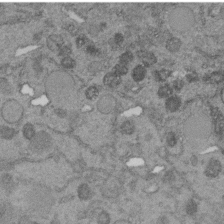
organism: C. elegans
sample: C. elegans embryo early stage